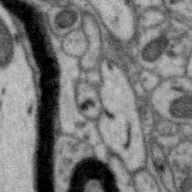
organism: Zebra finch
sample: Brain